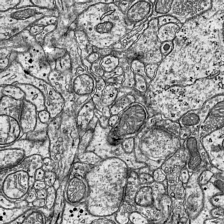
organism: Mouse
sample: Visual Cortex